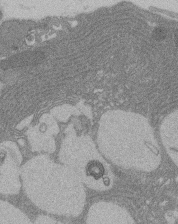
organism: Rat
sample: Salivary granule